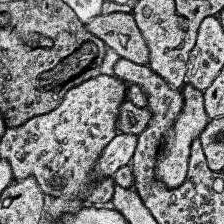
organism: Human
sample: Temporal Lobe